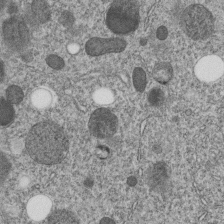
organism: C. elegans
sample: C. elegans embryo early stage